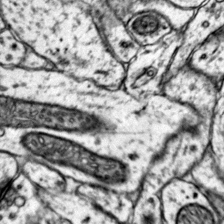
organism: Mouse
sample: Primary visual cortex